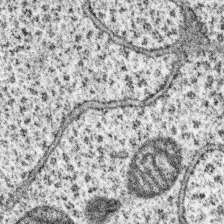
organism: Human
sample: HeLa cells